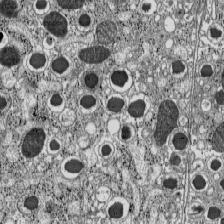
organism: C57BL Mouse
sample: Pancreatic islet